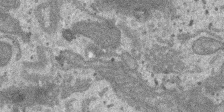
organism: Human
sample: Lung epithelial cells infected with SARS-CoV-2